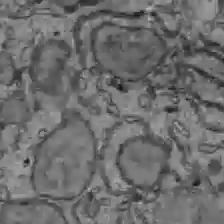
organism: C57BL Mouse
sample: Liver